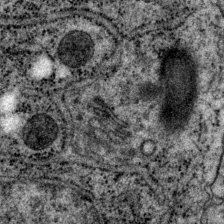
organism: P. pacificus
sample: Pharynx